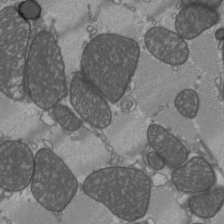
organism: C57BL Mouse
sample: Heart